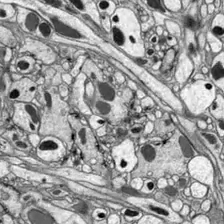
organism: Drosophila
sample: Optic lobe